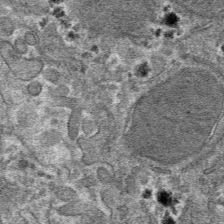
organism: Mouse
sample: Mouse hepatocytes